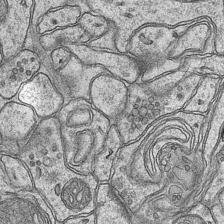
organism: Mouse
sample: CA1 Hippocampus